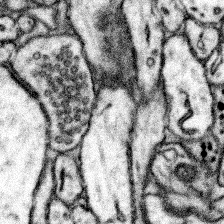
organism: Mouse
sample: Somatosensory cortex neuropil